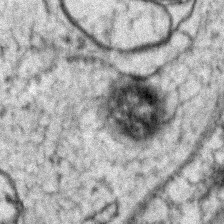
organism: Zebrafish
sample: Zebrafish embryo